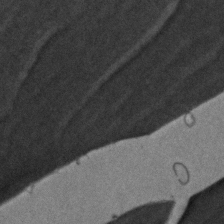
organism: Zebrafish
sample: Zebrafish embryo